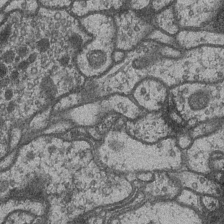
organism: Drosophila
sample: Optic medulla